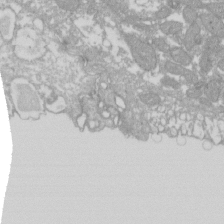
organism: Xenopus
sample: Cilia; centrioles in frog embryo cells